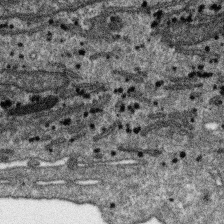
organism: Human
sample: Lung epithelial cells infected with SARS-CoV-2